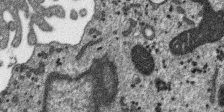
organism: Human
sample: Lung epithelial cells infected with SARS-CoV-2